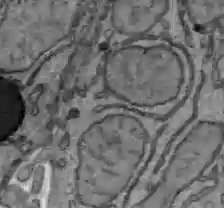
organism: C57BL Mouse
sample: Liver